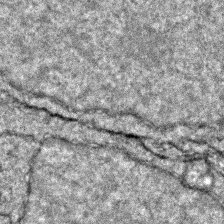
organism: Zebrafish